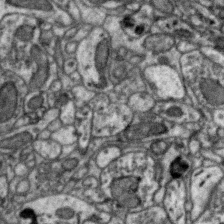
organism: Zebra finch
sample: Brain